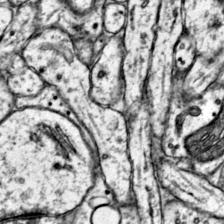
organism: Mouse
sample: Primary visual cortex